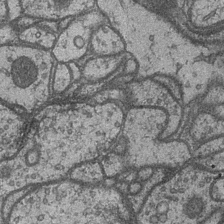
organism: Drosophila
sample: Optic medulla